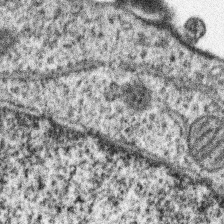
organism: Human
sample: HeLa cells